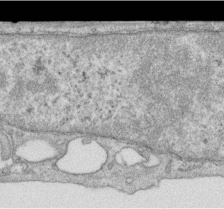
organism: Human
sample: Centriole in RPE cells